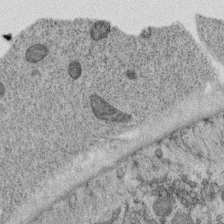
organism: C. elegans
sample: C. elegans oocyte; sperm cells